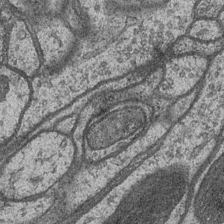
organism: Drosophila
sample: Optic medulla